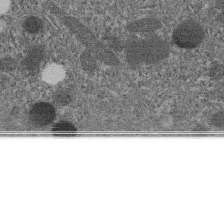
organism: C. elegans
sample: C. elegans embryo early stage